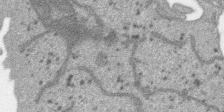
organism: Human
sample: Lung epithelial cells infected with SARS-CoV-2